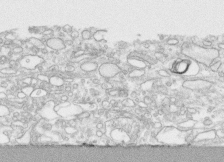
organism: Human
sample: CRL-1474